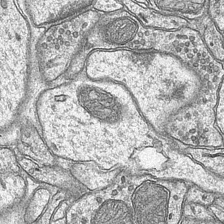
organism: Mouse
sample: CA1 Hippocampus